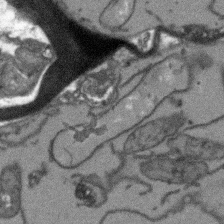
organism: Arabidopsis thaliana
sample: Root tip